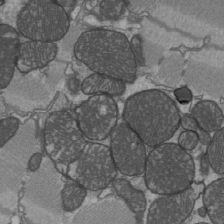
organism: C57BL Mouse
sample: Heart